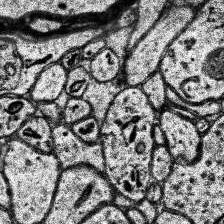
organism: Human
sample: Temporal Lobe